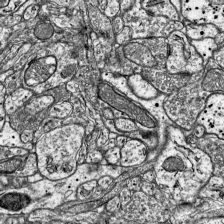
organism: Mouse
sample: Visual Cortex